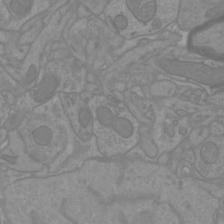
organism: Mouse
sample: Cortical neurons